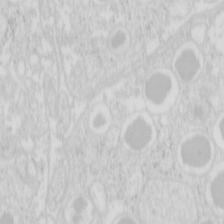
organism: Mouse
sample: Pancreas